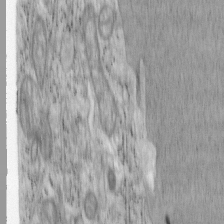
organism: Human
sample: HeLa cells